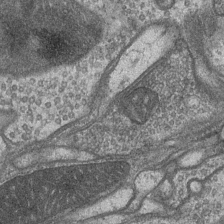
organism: Drosophila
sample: Optic medulla